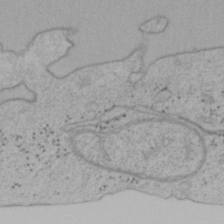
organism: Human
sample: HeLa cells